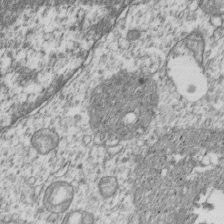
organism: Human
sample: MDA-MB-231 cells